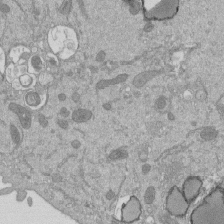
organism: Mouse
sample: ED-1 cell nuclei; centrioles